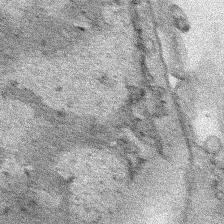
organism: Human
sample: Mitochondria in HCT116 cells